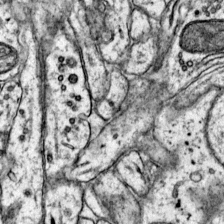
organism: Mouse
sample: Primary visual cortex